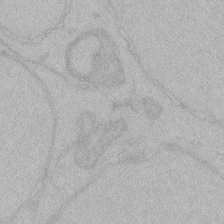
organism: Zebrafish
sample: Macrophage infected with Toxoplasma gondii